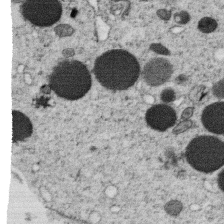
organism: C. elegans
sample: C. elegans oocyte; sperm cells